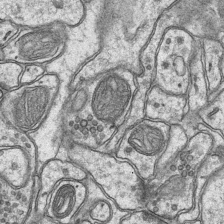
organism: Mouse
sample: CA1 Hippocampus